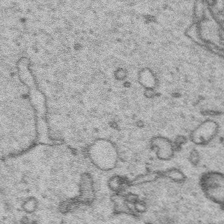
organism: Platynereis dumerilii